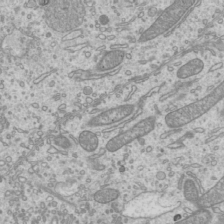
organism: Mouse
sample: Cilia; mouse epididymis